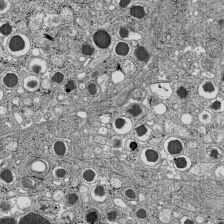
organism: C57BL Mouse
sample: Pancreatic islet